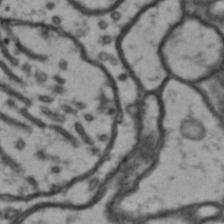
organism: Drosophila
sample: Brain